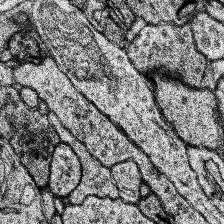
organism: Human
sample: Temporal Lobe